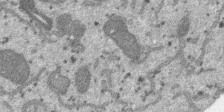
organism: Human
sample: Lung epithelial cells infected with SARS-CoV-2